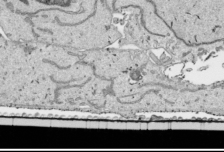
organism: Human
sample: Mitochondria in HCT116 cells